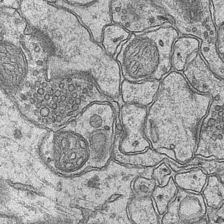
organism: Mouse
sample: CA1 Hippocampus